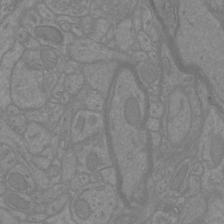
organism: Mouse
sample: Cortical neurons